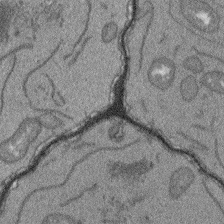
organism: Arabidopsis thaliana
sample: Root tip